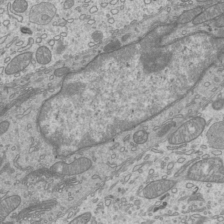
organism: Mouse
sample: Cilia; mouse epididymis